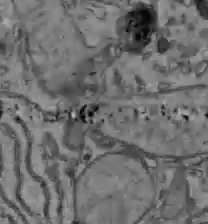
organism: C57BL Mouse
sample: Liver